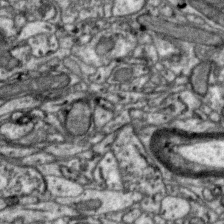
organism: Zebra finch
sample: Brain